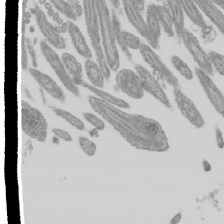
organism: Mouse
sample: Cilia; mouse epididymis